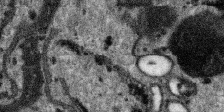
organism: Human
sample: Lung epithelial cells infected with SARS-CoV-2